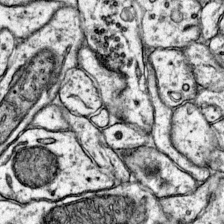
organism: Mouse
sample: Primary visual cortex